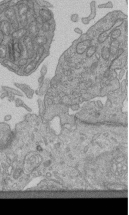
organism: Human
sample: Retinal organoid Rod and Cone cells